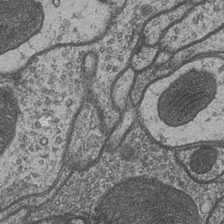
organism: Drosophila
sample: Optic medulla